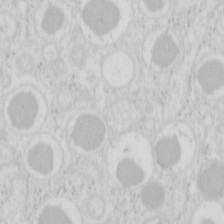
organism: Mouse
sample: Pancreas